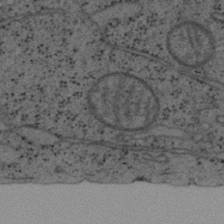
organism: Human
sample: HeLa cells